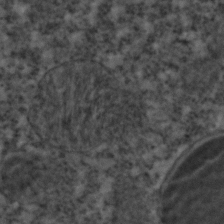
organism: C. elegans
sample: C. elegans embryo